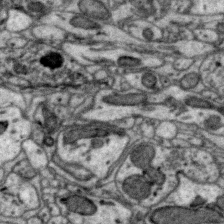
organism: Zebra finch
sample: Brain